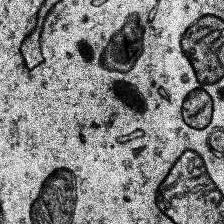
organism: Human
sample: Temporal Lobe